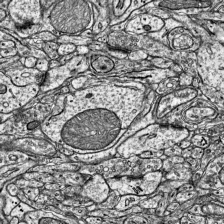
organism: Mouse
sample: Visual Cortex